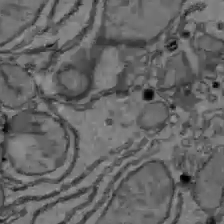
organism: C57BL Mouse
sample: Liver